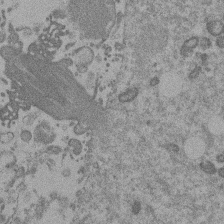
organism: Mouse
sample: Dividing mouse embryo 1 cell stage